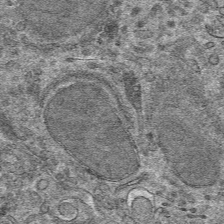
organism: Mouse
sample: Mouse hepatocytes